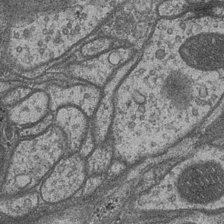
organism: Drosophila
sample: Optic medulla